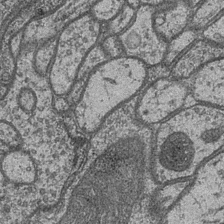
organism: Drosophila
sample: Optic medulla